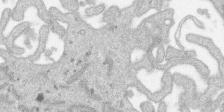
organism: Human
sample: Lung epithelial cells infected with SARS-CoV-2